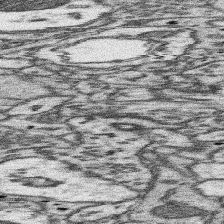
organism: Mouse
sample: Somatosensory cortex neuropil